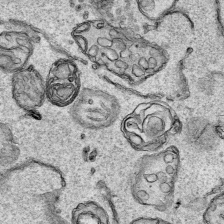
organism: Human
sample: Mitochondria in HCT116 cells